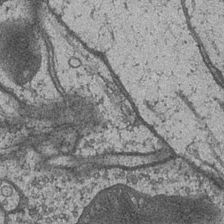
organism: Drosophila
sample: Optic medulla